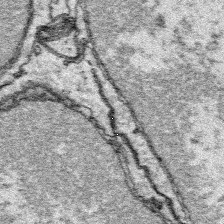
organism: Platynereis dumerilii